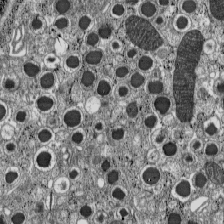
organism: C57BL Mouse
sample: Pancreatic islet